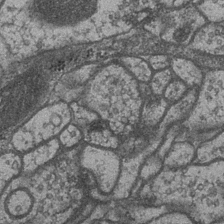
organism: Drosophila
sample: Optic medulla